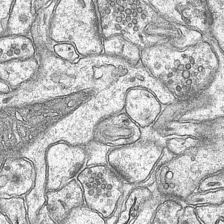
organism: Mouse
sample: CA1 Hippocampus